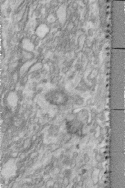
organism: Human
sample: Centriole in fibroblast cells